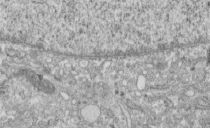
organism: Human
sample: Centriole in fibroblast cells